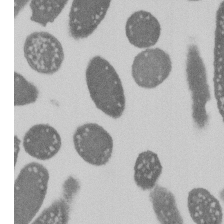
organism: E. coli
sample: Bacterial nucleoid